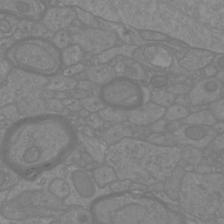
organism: Mouse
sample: Cortical neurons